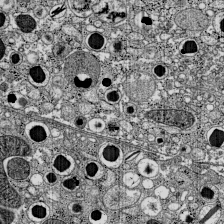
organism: C57BL Mouse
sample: Pancreatic islet